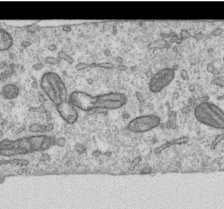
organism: Human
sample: Centriole in RPE cells